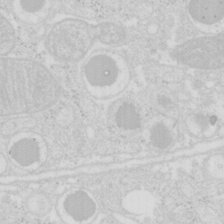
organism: Mouse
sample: Pancreas